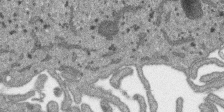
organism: Human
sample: Lung epithelial cells infected with SARS-CoV-2